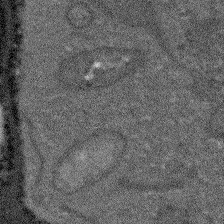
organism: Arabidopsis thaliana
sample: Root tip